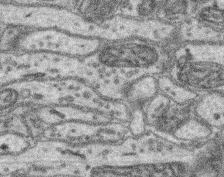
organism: Mouse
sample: Retina